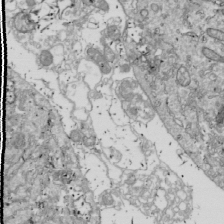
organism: Drosophila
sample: Cell division; meiosis; drosophila spermatocytes